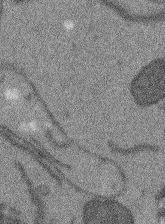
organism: Arabidopsis thaliana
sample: Root tip